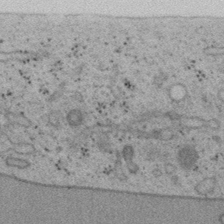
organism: Human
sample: HeLa cells